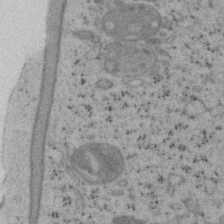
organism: Human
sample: HeLa cells